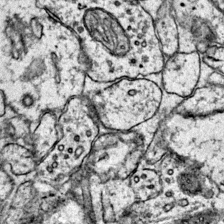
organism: Mouse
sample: Primary visual cortex